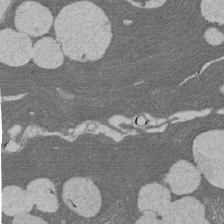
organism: Rat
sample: Salivary granule